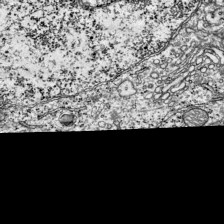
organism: Mouse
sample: Visual Cortex